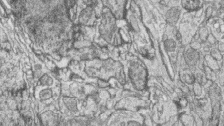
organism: Zebrafish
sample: synaptic ribbons in rod cells and cone cells